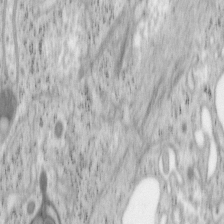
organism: Human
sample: HeLa cells